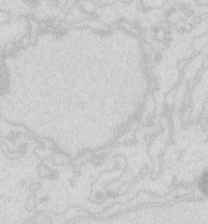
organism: Zebrafish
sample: Macrophage